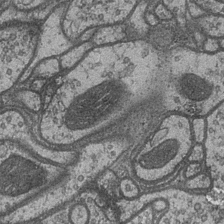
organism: Drosophila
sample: Optic medulla